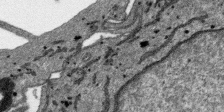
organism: Human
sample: Lung epithelial cells, uninfected (mock) control